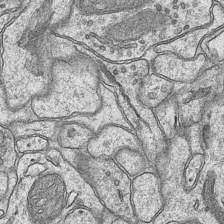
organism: Mouse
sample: CA1 Hippocampus